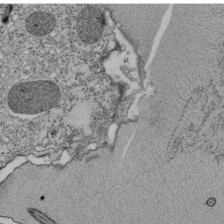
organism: Tetrahymena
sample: Cilia in tetrahymena